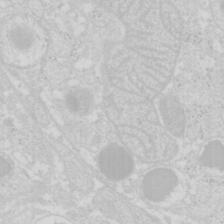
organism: Mouse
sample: Pancreas